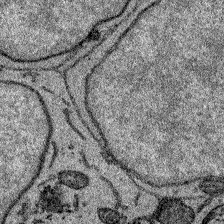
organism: Zebrafish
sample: Larval olfactory bulb